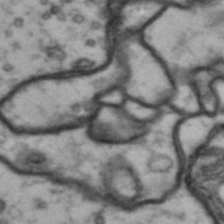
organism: Drosophila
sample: Brain